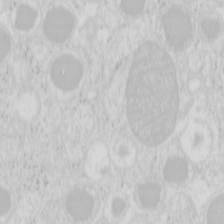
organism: Mouse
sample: Pancreas